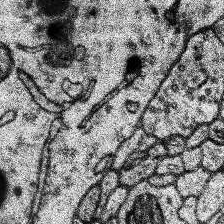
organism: Human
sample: Temporal Lobe